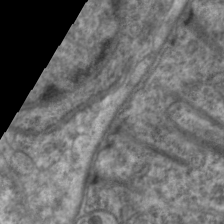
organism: C. elegans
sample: Pharynx